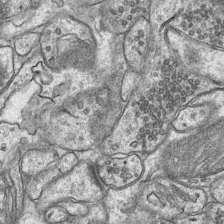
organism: Mouse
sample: CA1 Hippocampus